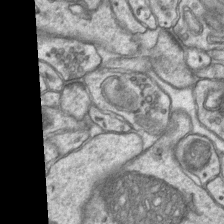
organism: Mouse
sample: CA1 Hippocampus